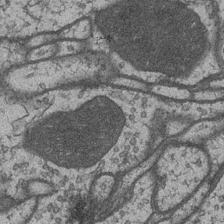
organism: Drosophila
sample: Optic medulla